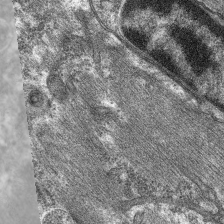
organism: C. elegans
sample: Pharynx